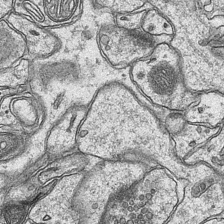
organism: Mouse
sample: CA1 Hippocampus